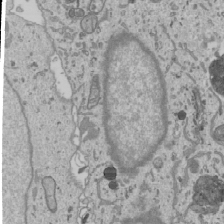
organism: Human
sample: Mitochondria in U2OS cells